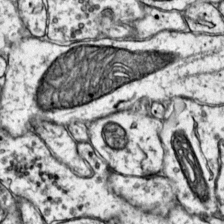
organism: Mouse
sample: Primary visual cortex